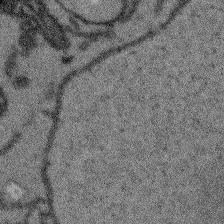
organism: Arabidopsis thaliana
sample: Root tip